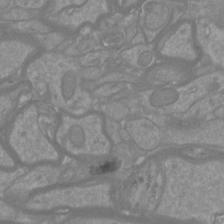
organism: Mouse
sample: Cortical neurons